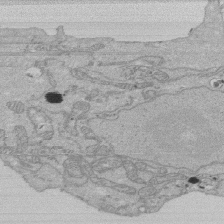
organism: Human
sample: Activated Jurkat CD4+ T cells